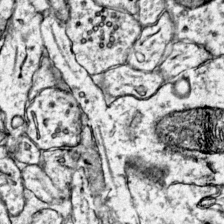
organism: Mouse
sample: Primary visual cortex